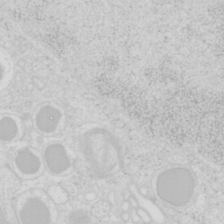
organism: Mouse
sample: Pancreas